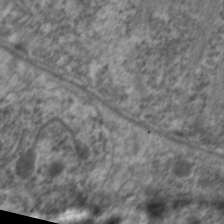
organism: C. elegans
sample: Pharynx